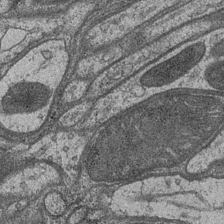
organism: Drosophila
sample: Optic medulla